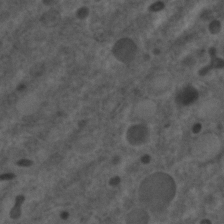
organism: C. elegans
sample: C. elegans embryo